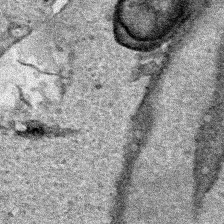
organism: Human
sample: Mitochondria in HCT116 cells